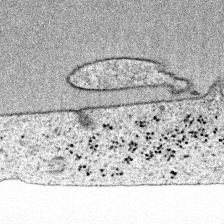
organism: Human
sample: HeLa cells